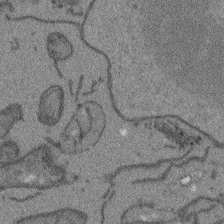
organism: Arabidopsis thaliana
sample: Root tip